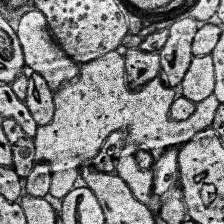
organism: Human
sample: Temporal Lobe